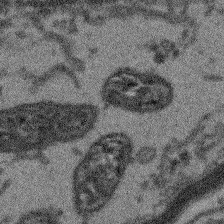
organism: Arabidopsis thaliana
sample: Root tip